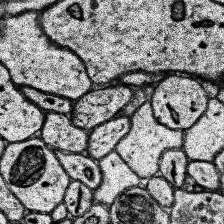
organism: Human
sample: Temporal Lobe